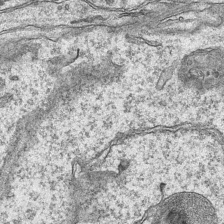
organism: Mouse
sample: CA1 Hippocampus